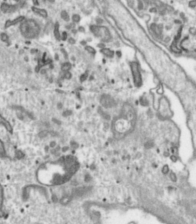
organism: Toxoplasma gondii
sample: Parasites in a vacuole inside a host cell